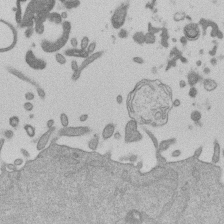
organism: Mouse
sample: Dividing mouse embryo 1 cell stage